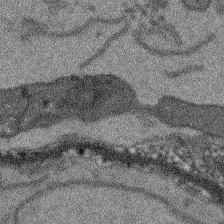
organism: Arabidopsis thaliana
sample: Root tip